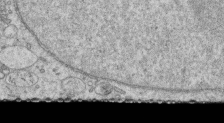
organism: Human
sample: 1205lu cells